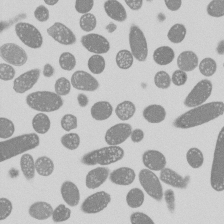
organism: E. coli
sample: Bacterial nucleoid